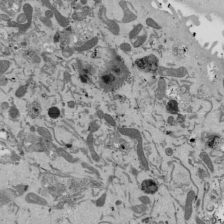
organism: Mouse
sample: ED-1 cell nuclei; centrioles